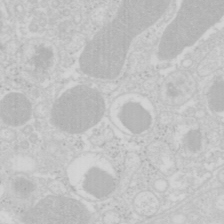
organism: Mouse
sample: Pancreas